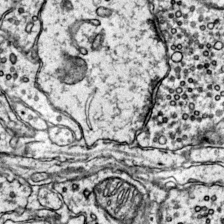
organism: Mouse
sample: Primary visual cortex